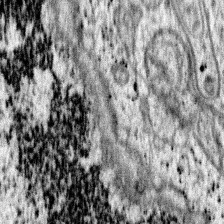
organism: Human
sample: HeLa cells